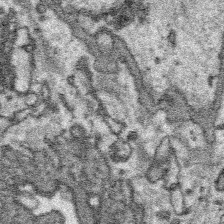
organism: Platynereis dumerilii